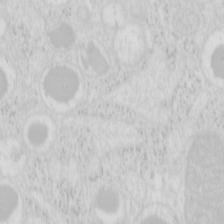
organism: Mouse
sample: Pancreas